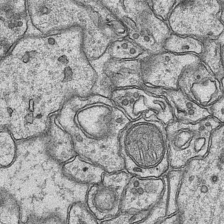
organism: Mouse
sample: CA1 Hippocampus